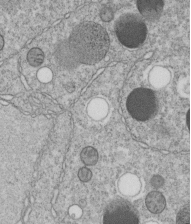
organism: C. elegans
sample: C. elegans embryo early stage